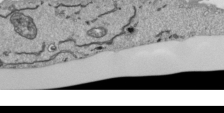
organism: Human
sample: Mitochondria in HCT116 cells